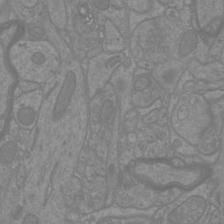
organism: Mouse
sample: Cortical neurons